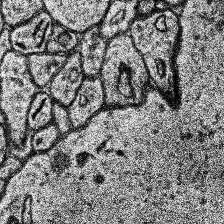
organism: Human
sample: Temporal Lobe